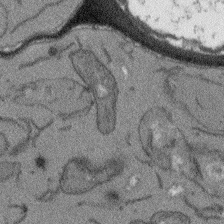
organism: Arabidopsis thaliana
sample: Root tip